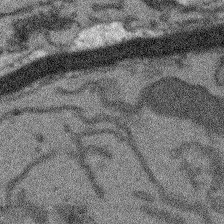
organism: Arabidopsis thaliana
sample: Root tip